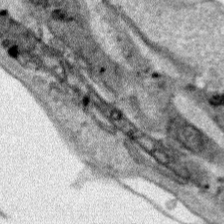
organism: Human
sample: Mitochondria in HCT116 cells